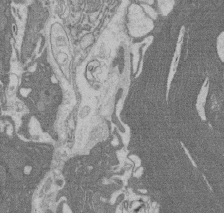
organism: Rat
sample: Salivary granule